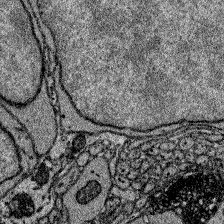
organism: Zebrafish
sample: Larval olfactory bulb